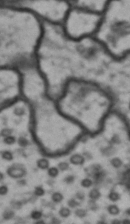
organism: Drosophila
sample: Brain